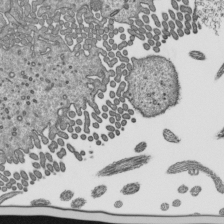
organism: Mouse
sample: Mouse epididymis efferent ductule cilia